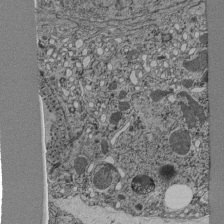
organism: C. elegans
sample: C. elegans pharynx